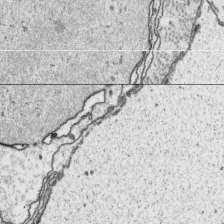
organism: Platynereis dumerilii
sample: Parapodia